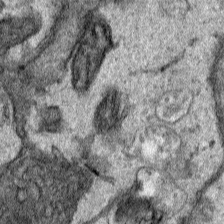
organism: Human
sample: Mitochondria in HCT116 cells